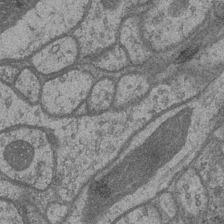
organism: Drosophila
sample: Optic medulla